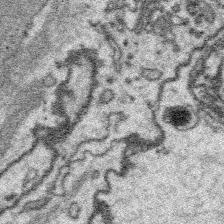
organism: Platynereis dumerilii